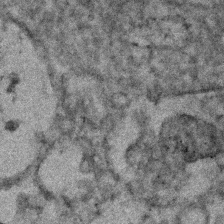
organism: Human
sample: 1205lu cells